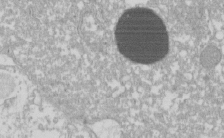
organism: Xenopus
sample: Cilia; centrioles in frog embryo cells